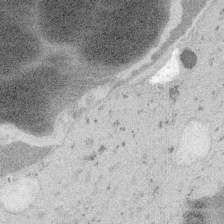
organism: Embia sp.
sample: Silk gland